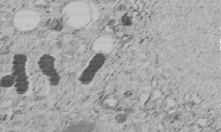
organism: C. elegans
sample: C. elegans embryo early stage